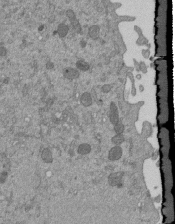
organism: Mouse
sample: ED-1 cell nuclei; centrioles